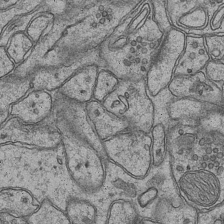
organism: Mouse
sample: CA1 Hippocampus